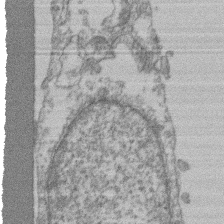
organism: Mouse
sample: T cell stromal cell synapse